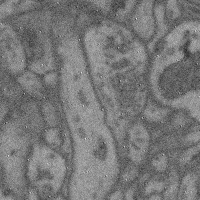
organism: Mouse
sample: Cerebral cortex